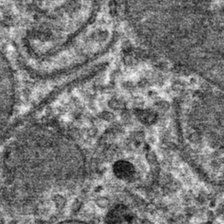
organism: Mouse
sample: Mouse hepatocytes